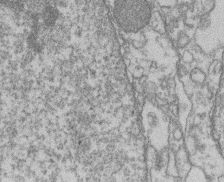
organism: Mouse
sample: T cell stromal cell synapse